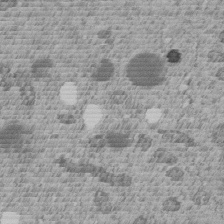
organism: C. elegans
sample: C. elegans embryo early stage